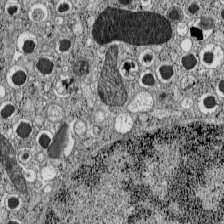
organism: C57BL Mouse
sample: Pancreatic islet